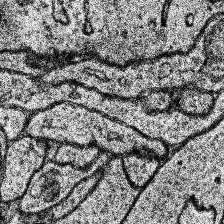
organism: Human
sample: Temporal Lobe